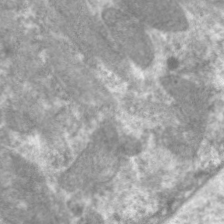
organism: C. elegans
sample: Pharynx